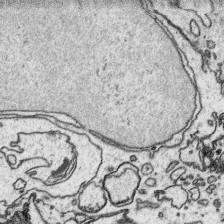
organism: Platynereis dumerilii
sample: Parapodia